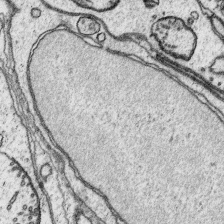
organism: Platynereis dumerilii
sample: Parapodia